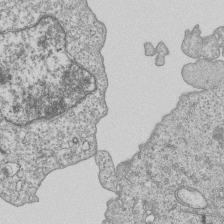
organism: Human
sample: MDA-MB-231 cells